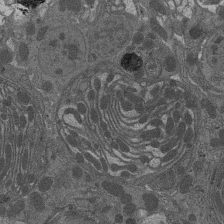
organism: Drosophila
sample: Antenna